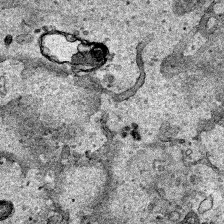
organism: Human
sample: Mitochondria in HCT116 cells